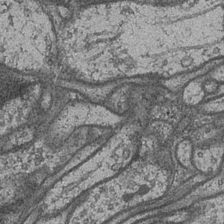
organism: Drosophila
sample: Optic medulla